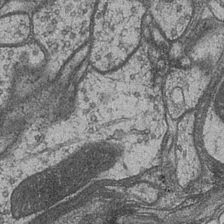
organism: Drosophila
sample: Optic medulla